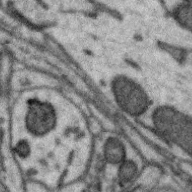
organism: Zebra finch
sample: Brain